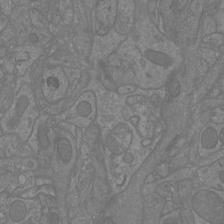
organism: Mouse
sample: Cortical neurons